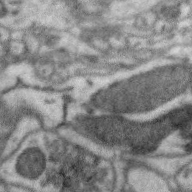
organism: Zebra finch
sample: Brain